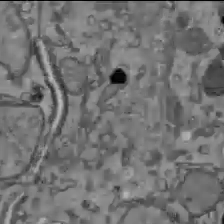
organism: C57BL Mouse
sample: Liver